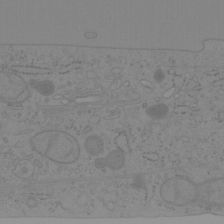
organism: Human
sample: HeLa cells